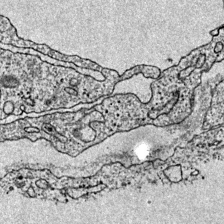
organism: Mouse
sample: Primary visual cortex